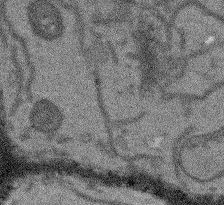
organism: Arabidopsis thaliana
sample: Root tip